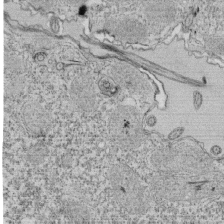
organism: Tetrahymena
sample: Cilia in tetrahymena